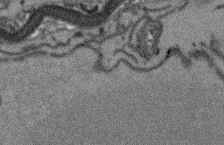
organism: Arabidopsis thaliana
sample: Root tip